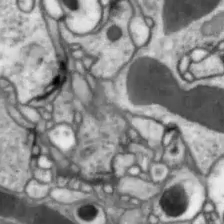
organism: Drosophila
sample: Optic lobe